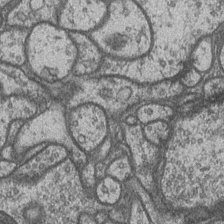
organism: Drosophila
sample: Optic medulla